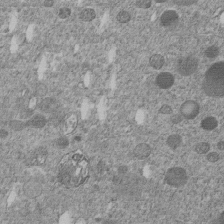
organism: C. elegans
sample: C. elegans embryo early stage